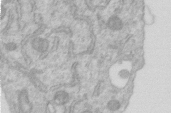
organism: Human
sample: Centriole in RPE cells